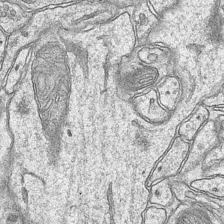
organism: Mouse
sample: CA1 Hippocampus